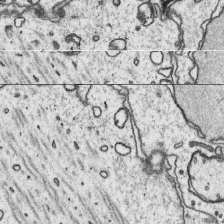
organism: Platynereis dumerilii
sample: Parapodia